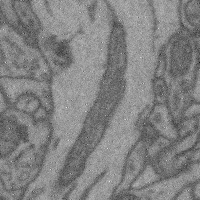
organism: Mouse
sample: Cerebral cortex